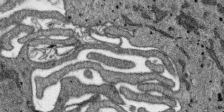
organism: Human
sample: Lung epithelial cells, uninfected (mock) control